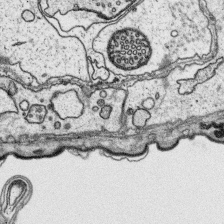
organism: Platynereis dumerilii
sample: Parapodia